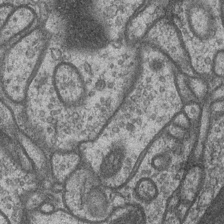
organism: Drosophila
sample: Optic medulla